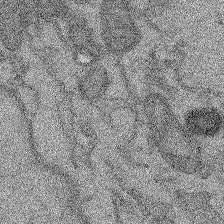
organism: Human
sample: HeLa cells